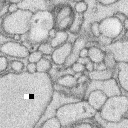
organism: Rabbit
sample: Retina